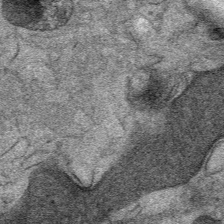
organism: Mouse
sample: Mouse Salivary gland